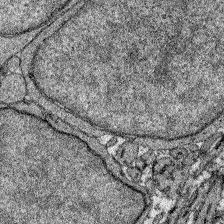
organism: Zebrafish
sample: Larval olfactory bulb